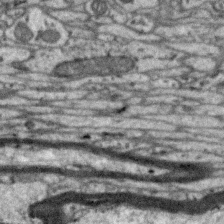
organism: Zebra finch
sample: Brain